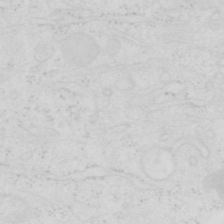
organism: Human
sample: SUM-159 cell